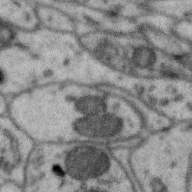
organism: Zebra finch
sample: Brain